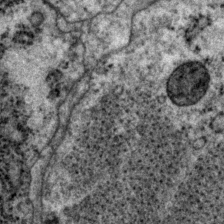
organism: P. pacificus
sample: Pharynx